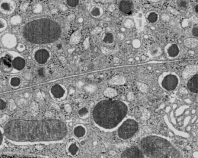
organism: C57BL Mouse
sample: Pancreatic islet